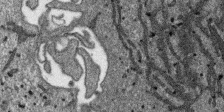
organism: Human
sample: Lung epithelial cells infected with SARS-CoV-2